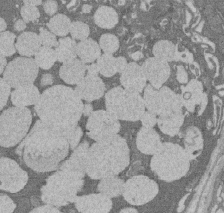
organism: Rat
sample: Salivary granule